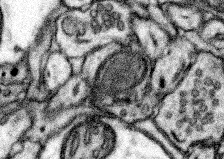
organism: Mouse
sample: Somatosensory cortex neuropil